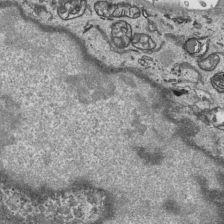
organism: Human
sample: Mitochondria in HCT116 cells